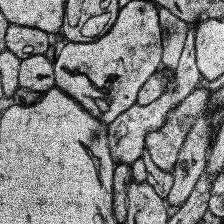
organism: Human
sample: Temporal Lobe